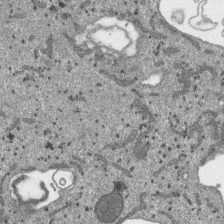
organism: Human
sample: Lung epithelial cells infected with SARS-CoV-2